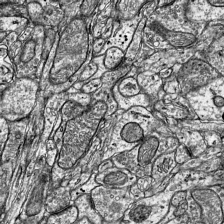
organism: Mouse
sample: Visual Cortex